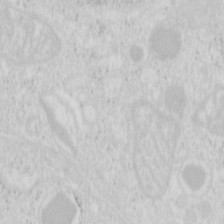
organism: Mouse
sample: Pancreas